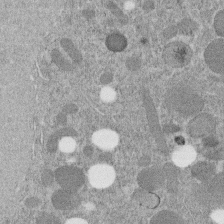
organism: C. elegans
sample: C. elegans embryo early stage